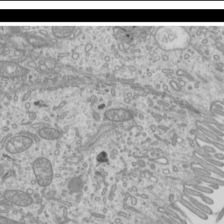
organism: Mouse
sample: Cilia; mouse epididymis